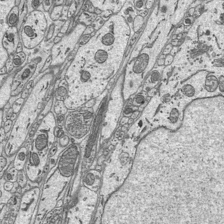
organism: Mouse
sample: Suprachiasmatic nucleus